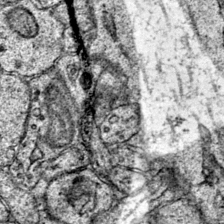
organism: Mouse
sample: Primary visual cortex